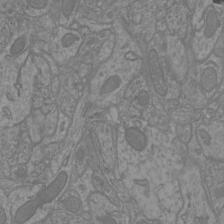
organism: Mouse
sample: Cortical neurons